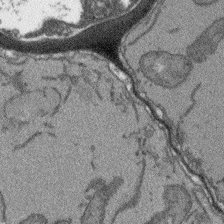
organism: Arabidopsis thaliana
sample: Root tip